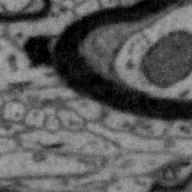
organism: Zebra finch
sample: Brain